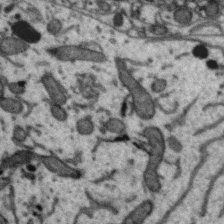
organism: Zebra finch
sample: Brain